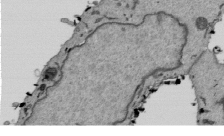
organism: Mouse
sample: ED-1 cell nuclei; centrioles